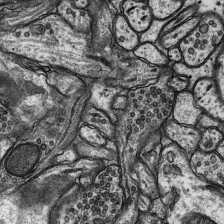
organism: Rat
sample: Hippocampus